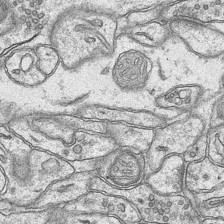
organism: Mouse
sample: CA1 Hippocampus